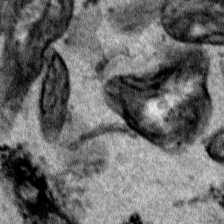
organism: Human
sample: Mitochondria in HCT116 cells